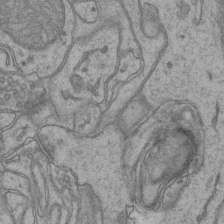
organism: Mouse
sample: CA1 Hippocampus